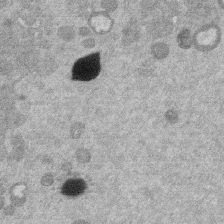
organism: Mouse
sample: Dividing mouse embryo 1 cell stage